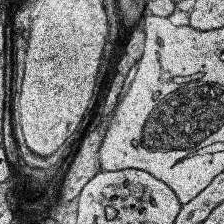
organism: Human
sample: Temporal Lobe